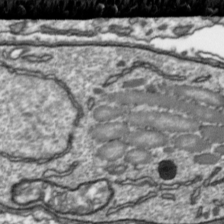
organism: Toxoplasma gondii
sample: Parasites in a vacuole inside a host cell